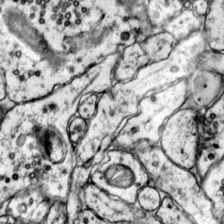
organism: Mouse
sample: Primary visual cortex